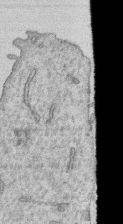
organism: Human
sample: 1205lu cells